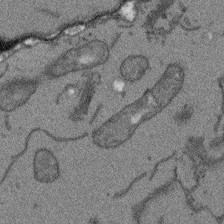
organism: Arabidopsis thaliana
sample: Root tip